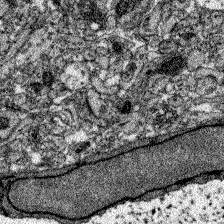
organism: Zebrafish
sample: Larval olfactory bulb